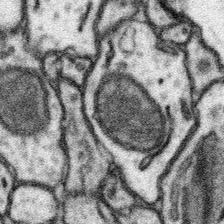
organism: Mouse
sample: Somatosensory cortex neuropil